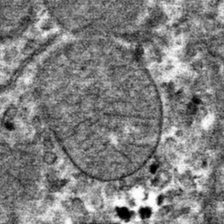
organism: Mouse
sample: Mouse hepatocytes